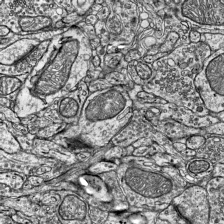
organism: Mouse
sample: Visual Cortex